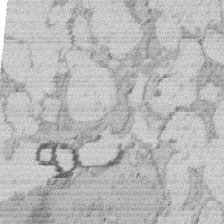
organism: Rat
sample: Salivary granule